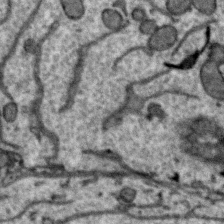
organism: Zebra finch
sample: Brain